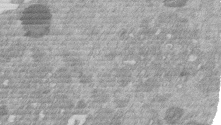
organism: Mouse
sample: Dividing mouse embryo 1 cell stage